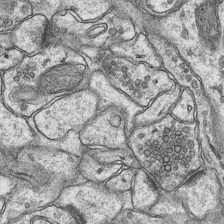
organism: Mouse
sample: CA1 Hippocampus